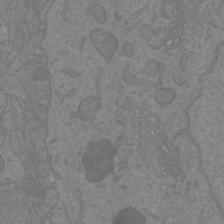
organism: Mouse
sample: Cortical neurons